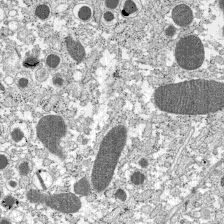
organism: C57BL Mouse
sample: Pancreatic islet